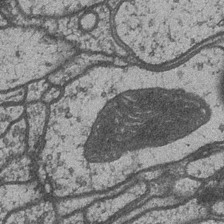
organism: Drosophila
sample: Optic medulla